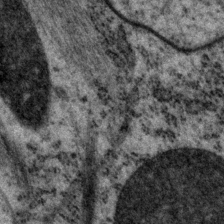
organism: P. pacificus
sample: Pharynx